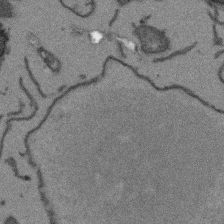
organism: Arabidopsis thaliana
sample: Root tip